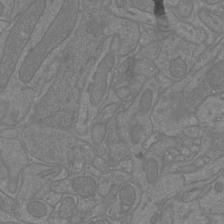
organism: Mouse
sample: Cortical neurons